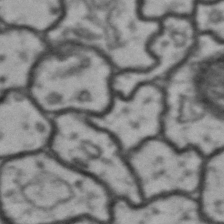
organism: Drosophila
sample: Brain